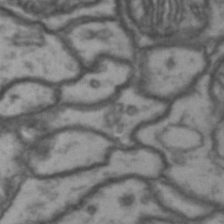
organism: Drosophila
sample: Brain